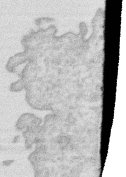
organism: Human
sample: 1205lu cells